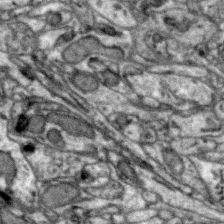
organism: Zebra finch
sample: Brain